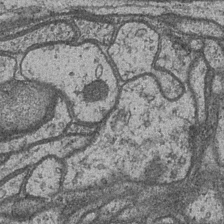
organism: Drosophila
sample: Optic medulla